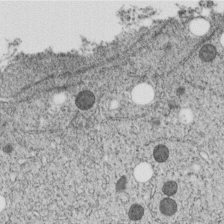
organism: C. elegans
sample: C. elegans embryo early stage